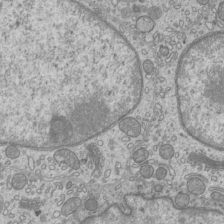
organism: Mouse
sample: Cilia; mouse epididymis